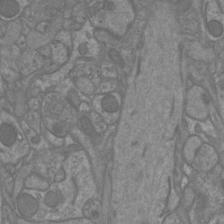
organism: Mouse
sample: Cortical neurons